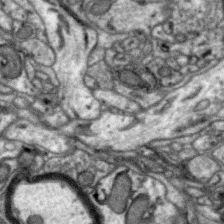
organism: Zebra finch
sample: Brain